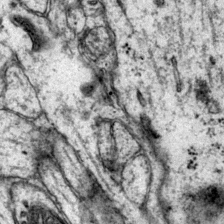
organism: Mouse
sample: Primary visual cortex